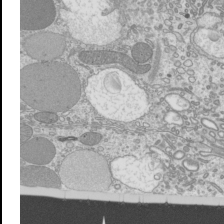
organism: Mouse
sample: Cilia; mouse epididymis